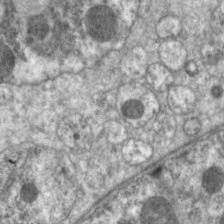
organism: C. elegans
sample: Pharynx